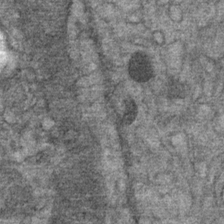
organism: Mouse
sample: Mouse Salivary gland